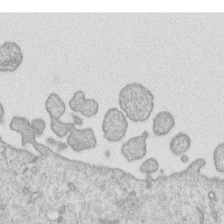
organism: Human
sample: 1205lu cells